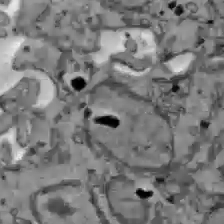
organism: C57BL Mouse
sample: Liver